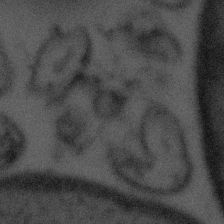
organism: Tuwongella immobilis